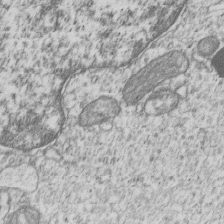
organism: Human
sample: MDA-MB-231 cells